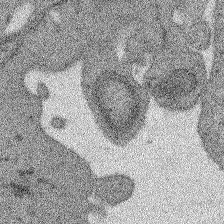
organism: Human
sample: HeLa cells